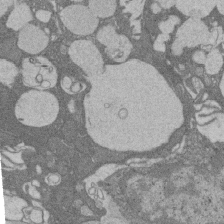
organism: Rat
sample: Salivary granule